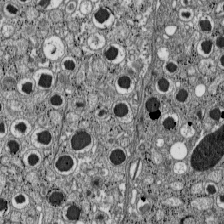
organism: C57BL Mouse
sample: Pancreatic islet